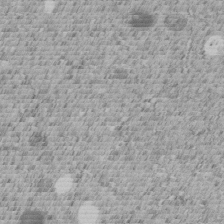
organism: C. elegans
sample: C. elegans embryo early stage